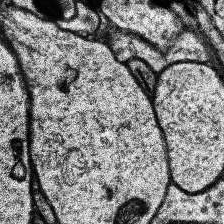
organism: Human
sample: Temporal Lobe